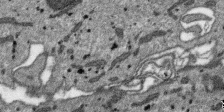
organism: Human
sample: Lung epithelial cells, uninfected (mock) control